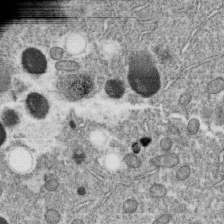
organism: C. elegans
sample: C. elegans oocyte; sperm cells